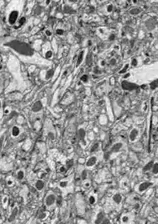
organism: Drosophila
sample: Optic lobe